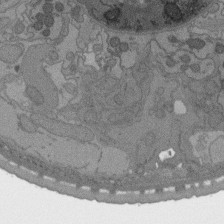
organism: C. elegans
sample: AFD neurons C. elegans